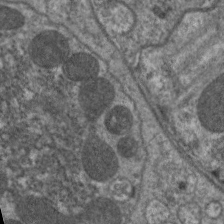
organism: C. elegans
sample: Pharynx